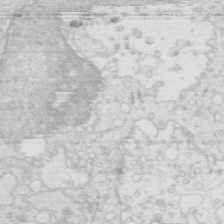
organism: Mouse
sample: Multiciliated cells